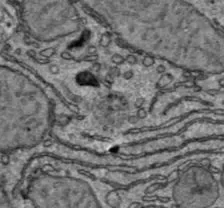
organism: C57BL Mouse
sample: Liver